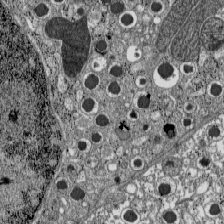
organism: C57BL Mouse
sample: Pancreatic islet